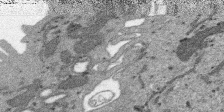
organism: Human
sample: Lung epithelial cells infected with SARS-CoV-2